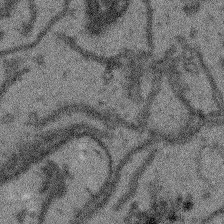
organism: Arabidopsis thaliana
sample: Root tip